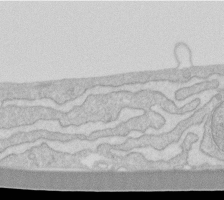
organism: Human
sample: Fibroblast cells